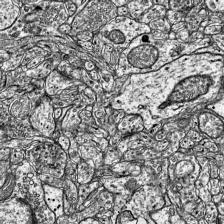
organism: Mouse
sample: Visual Cortex